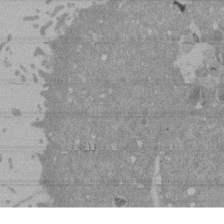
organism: Mouse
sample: ED-1 cell nuclei; centrioles